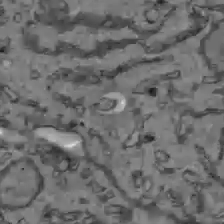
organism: C57BL Mouse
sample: Liver